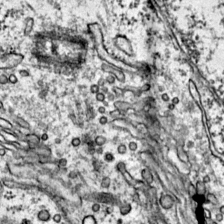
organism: Mouse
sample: Primary visual cortex